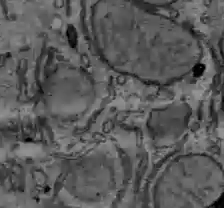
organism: C57BL Mouse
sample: Liver